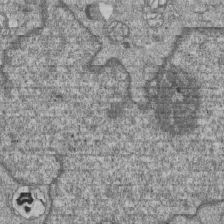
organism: Human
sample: MDA-MB-231 cells